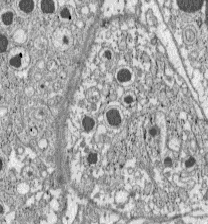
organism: C57BL Mouse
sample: Pancreatic islet